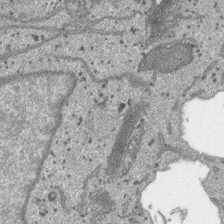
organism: Human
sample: Lung epithelial cells infected with SARS-CoV-2